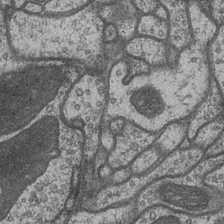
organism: Drosophila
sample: Optic medulla